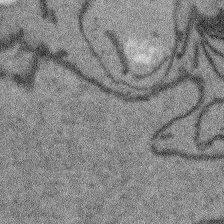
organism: Arabidopsis thaliana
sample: Root tip